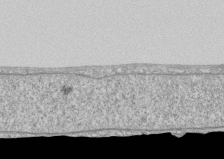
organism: Human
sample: CRL-1474